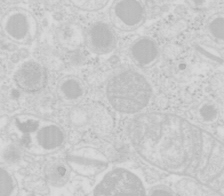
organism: Mouse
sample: Pancreas